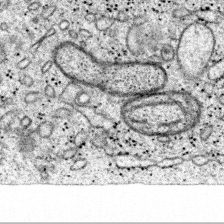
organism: Human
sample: HeLa cells